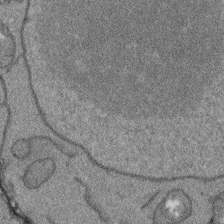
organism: Arabidopsis thaliana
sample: Root tip